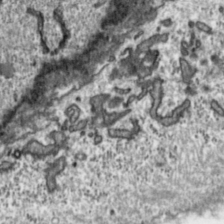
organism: Toxoplasma gondii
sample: Parasites in a vacuole inside a host cell